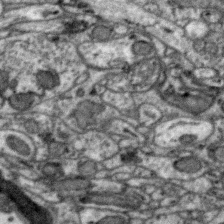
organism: Zebra finch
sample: Brain